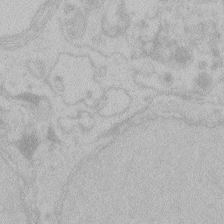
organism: Zebrafish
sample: Macrophage infected with Toxoplasma gondii